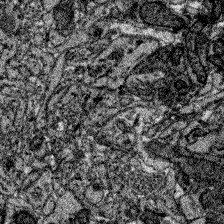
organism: Zebrafish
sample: Larval olfactory bulb